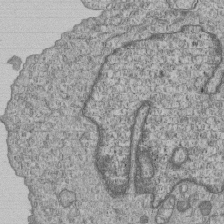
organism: Human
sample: MDA-MB-231 cells